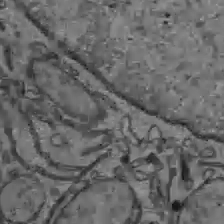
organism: C57BL Mouse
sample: Liver